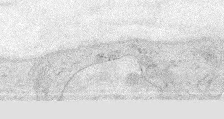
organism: Mouse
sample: Corneal nerves